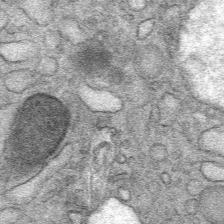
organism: Mouse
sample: Mouse Salivary gland